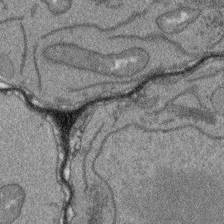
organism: Arabidopsis thaliana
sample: Root tip